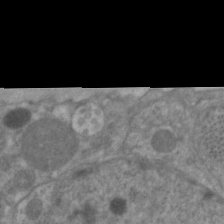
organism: C. elegans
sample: Pharynx